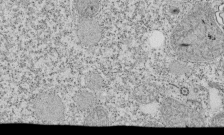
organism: Tetrahymena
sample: Cilia in tetrahymena